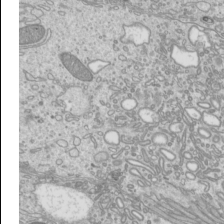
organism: Mouse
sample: Cilia; mouse epididymis